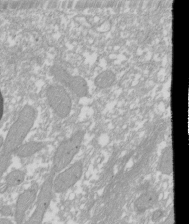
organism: Xenopus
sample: Cilia; centrioles in frog embryo cells